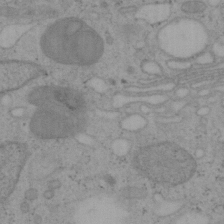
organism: Mouse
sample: OT-I killer T cells with ID8 ovarian cancer cells